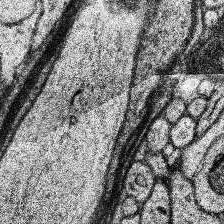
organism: Human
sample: Temporal Lobe